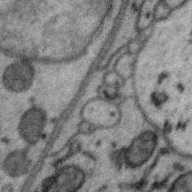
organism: Zebra finch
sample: Brain